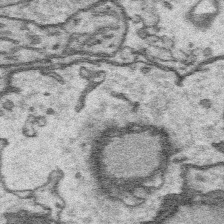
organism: Platynereis dumerilii